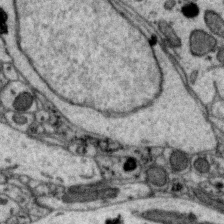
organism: Zebra finch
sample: Brain